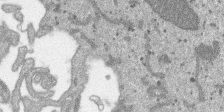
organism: Human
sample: Lung epithelial cells infected with SARS-CoV-2